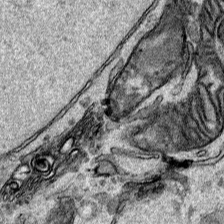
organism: Human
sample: Mitochondria in HCT116 cells